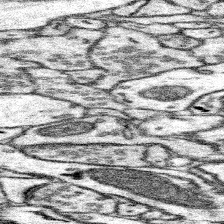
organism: Mouse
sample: Somatosensory cortex neuropil